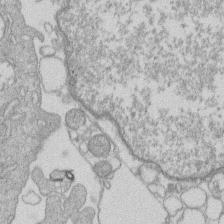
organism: Human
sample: Macrophage cells